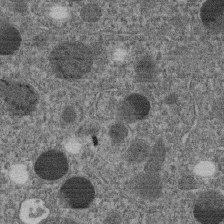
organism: C. elegans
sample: C. elegans embryo early stage